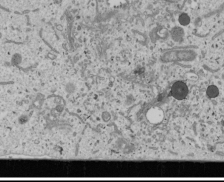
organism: Human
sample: Mitochondria in U2OS cells